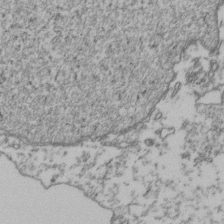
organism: Human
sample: Activated Jurkat CD4+ T cells